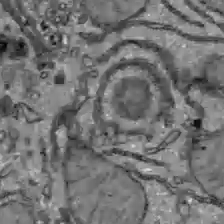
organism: C57BL Mouse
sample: Liver